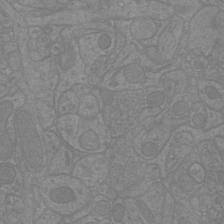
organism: Mouse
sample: Cortical neurons